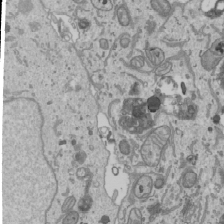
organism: Human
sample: Mitochondria in U2OS cells